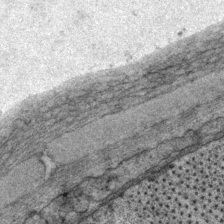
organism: P. pacificus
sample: Pharynx